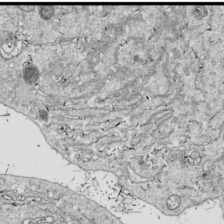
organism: Drosophila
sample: Cell division; meiosis; drosophila spermatocytes